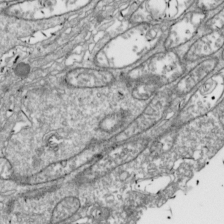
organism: Drosophila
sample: Cell division; meiosis; drosophila spermatocytes